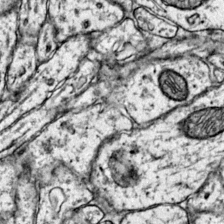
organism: Mouse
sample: Primary visual cortex